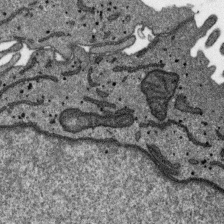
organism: Human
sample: Lung epithelial cells, uninfected (mock) control